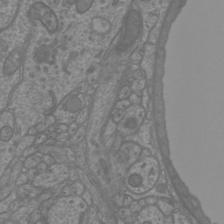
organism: Mouse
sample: Cortical neurons